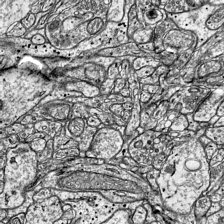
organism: Mouse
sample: Visual Cortex